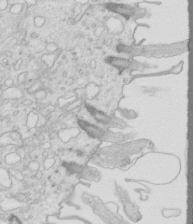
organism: Mouse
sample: Multiciliated cells